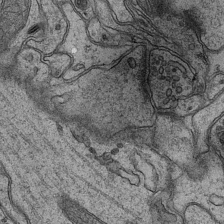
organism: Mouse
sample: CA1 Hippocampus